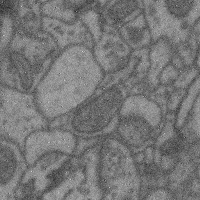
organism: Mouse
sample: Cerebral cortex